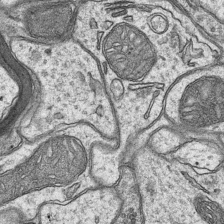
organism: Mouse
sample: CA1 Hippocampus